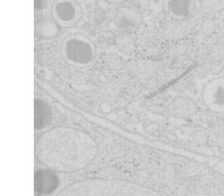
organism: Mouse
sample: Pancreas